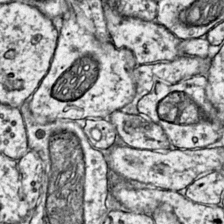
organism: Mouse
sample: Primary visual cortex